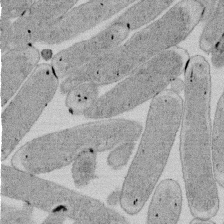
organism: E. coli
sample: Bacterial nucleoid